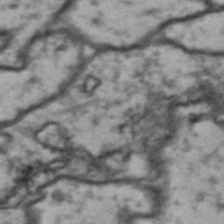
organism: Drosophila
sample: Brain